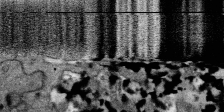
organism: Human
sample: Lung epithelial cells, uninfected (mock) control